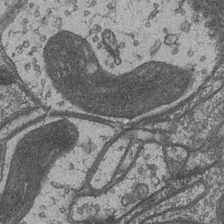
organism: Drosophila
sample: Optic medulla